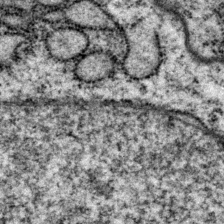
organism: P. pacificus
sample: Pharynx